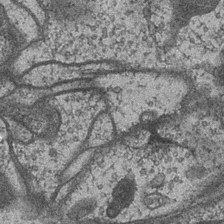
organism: Drosophila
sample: Optic medulla